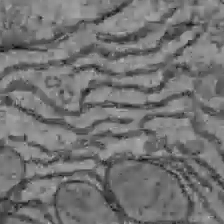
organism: C57BL Mouse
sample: Liver